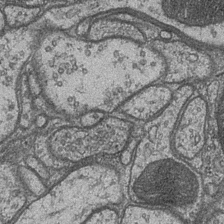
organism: Drosophila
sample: Optic medulla